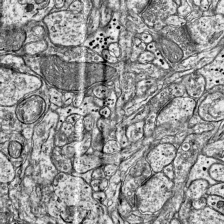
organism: Mouse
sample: Visual Cortex